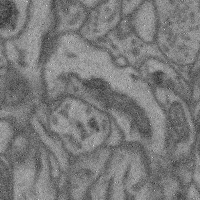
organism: Mouse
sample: Cerebral cortex